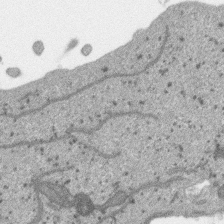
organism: Human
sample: Lung epithelial cells infected with SARS-CoV-2